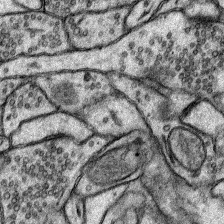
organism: Rat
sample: Hippocampus